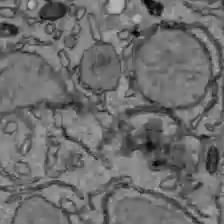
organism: C57BL Mouse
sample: Liver